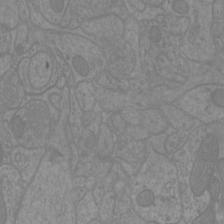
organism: Mouse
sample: Cortical neurons